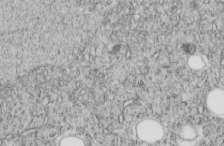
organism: C. elegans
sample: C. elegans embryo early stage